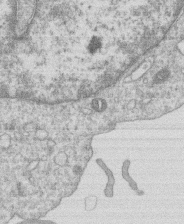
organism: Human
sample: Macrophage cells